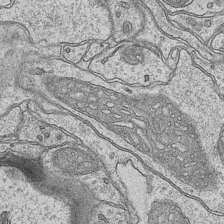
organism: Mouse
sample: CA1 Hippocampus